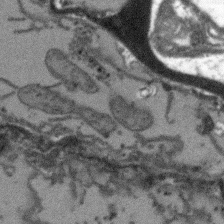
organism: Arabidopsis thaliana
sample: Root tip